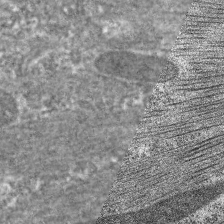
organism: C. elegans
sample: Pharynx